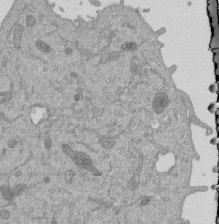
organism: Mouse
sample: ED-1 cell nuclei; centrioles